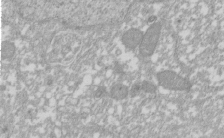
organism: Xenopus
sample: Cilia; centrioles in frog embryo cells